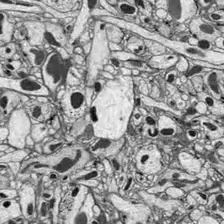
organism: Drosophila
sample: Optic lobe